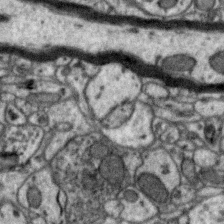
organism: Zebra finch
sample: Brain